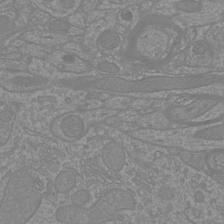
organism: Mouse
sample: Cortical neurons